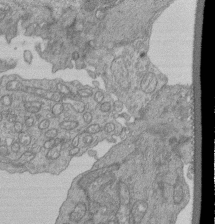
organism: Human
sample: Retinal organoid Rod and Cone cells